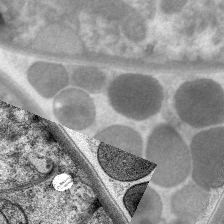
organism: C. elegans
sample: Pharynx